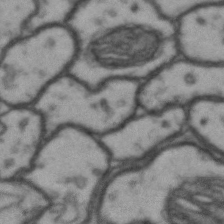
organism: Drosophila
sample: Brain